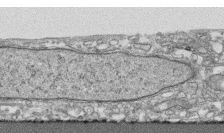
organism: Human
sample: CRL-1474